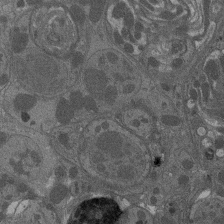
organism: Drosophila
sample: Antenna